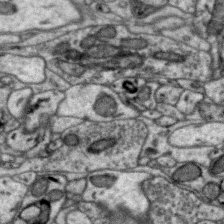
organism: Zebra finch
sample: Brain